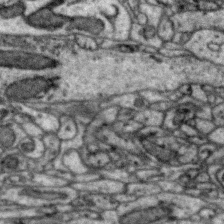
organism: Zebra finch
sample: Brain